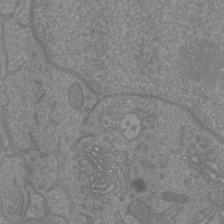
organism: Mouse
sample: Cortical neurons